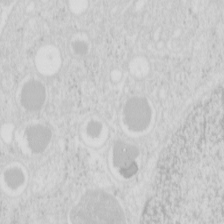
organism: Mouse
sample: Pancreas